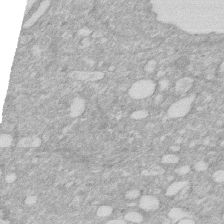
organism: Human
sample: HIV infected U937 cells